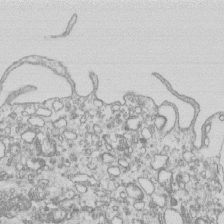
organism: Mouse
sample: Macrophages